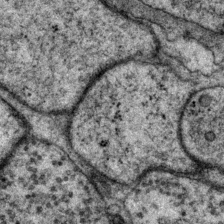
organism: P. pacificus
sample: Pharynx